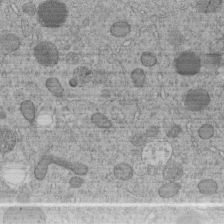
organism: C. elegans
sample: C. elegans embryo early stage